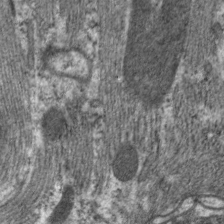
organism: C. elegans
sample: Pharynx